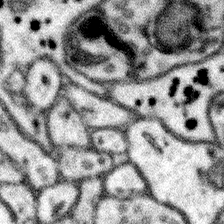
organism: Mouse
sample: Somatosensory cortex neuropil